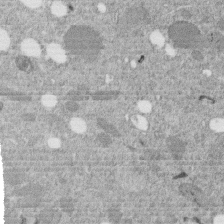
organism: C. elegans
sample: C. elegans embryo early stage